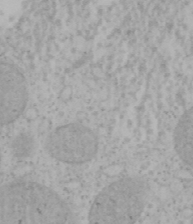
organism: Mouse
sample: OT-I killer T cells with ID8 ovarian cancer cells